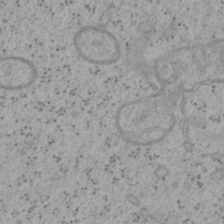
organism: Human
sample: HeLa cells